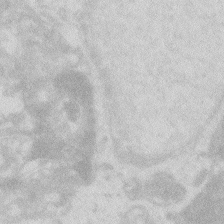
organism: Zebrafish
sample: Macrophage